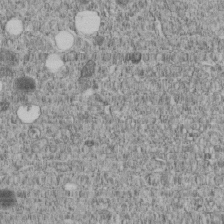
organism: C. elegans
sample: C. elegans embryo early stage